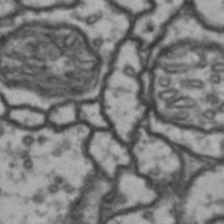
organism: Drosophila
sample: Brain